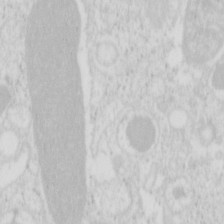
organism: Mouse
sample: Pancreas